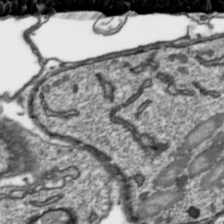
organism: Toxoplasma gondii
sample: Parasites in a vacuole inside a host cell